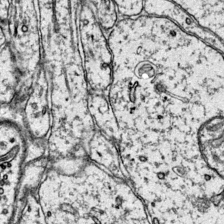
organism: Mouse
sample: Primary visual cortex